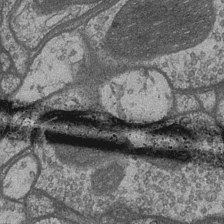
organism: Drosophila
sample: Optic medulla